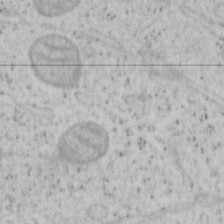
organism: Human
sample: HeLa cells